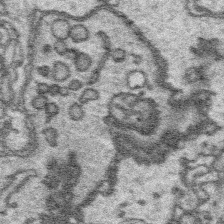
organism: Platynereis dumerilii